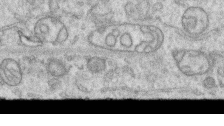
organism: Human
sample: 1205lu cells